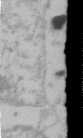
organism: Human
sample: U2-OS cells